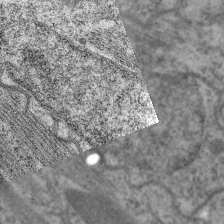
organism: C. elegans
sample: Pharynx